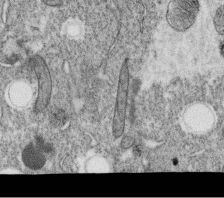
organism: C. elegans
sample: C. elegans oocyte; sperm cells